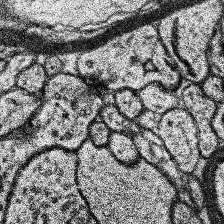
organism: Human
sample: Temporal Lobe